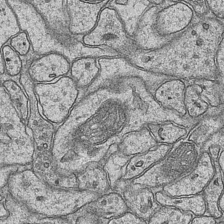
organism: Mouse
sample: CA1 Hippocampus